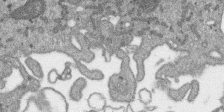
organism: Human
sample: Lung epithelial cells infected with SARS-CoV-2